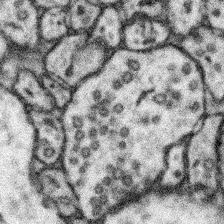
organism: Mouse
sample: Somatosensory cortex neuropil